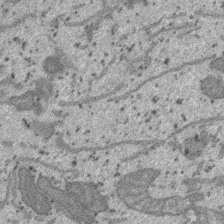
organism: Human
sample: Lung epithelial cells infected with SARS-CoV-2